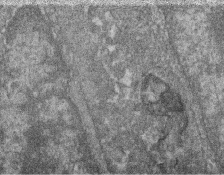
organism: Zebrafish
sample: Cilia; retinal pigment epithelium